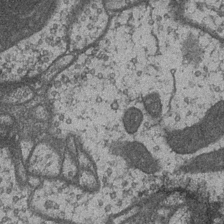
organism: Drosophila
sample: Optic medulla